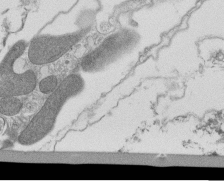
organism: Tetrahymena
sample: Cilia in tetrahymena